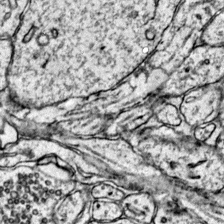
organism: Mouse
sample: Primary visual cortex